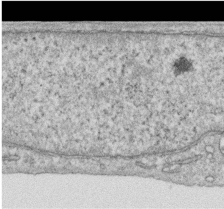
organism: Human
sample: Centriole in RPE cells